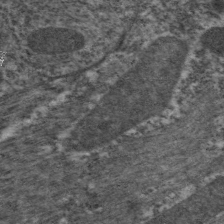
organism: C. elegans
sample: Pharynx